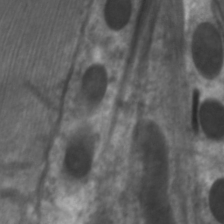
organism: C. elegans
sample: Pharynx